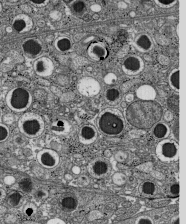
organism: C57BL Mouse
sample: Pancreatic islet